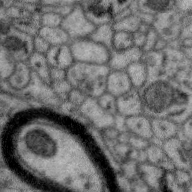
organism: Zebra finch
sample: Brain